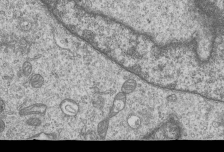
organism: Human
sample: MDA-MB-231 cells